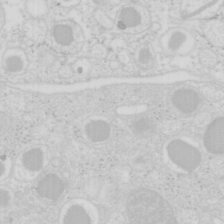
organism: Mouse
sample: Pancreas